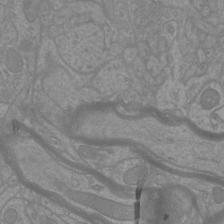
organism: Mouse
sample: Cortical neurons